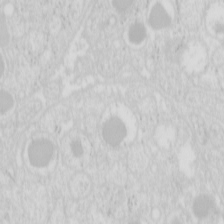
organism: Mouse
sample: Pancreas